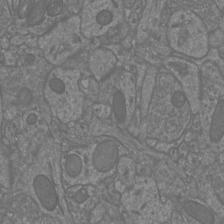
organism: Mouse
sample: Cortical neurons